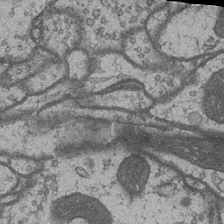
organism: Drosophila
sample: Optic medulla